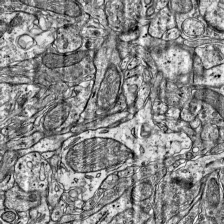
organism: Mouse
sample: Visual Cortex